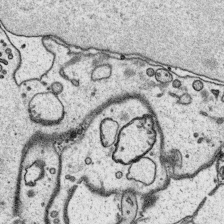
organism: Platynereis dumerilii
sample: Parapodia